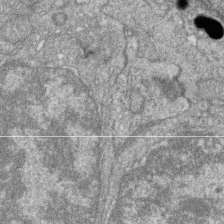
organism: Zebrafish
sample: Cilia; retinal pigment epithelium